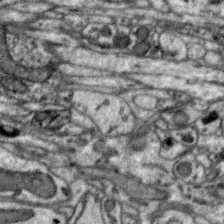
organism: Zebra finch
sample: Brain